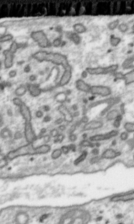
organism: Toxoplasma gondii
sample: Parasites in a vacuole inside a host cell